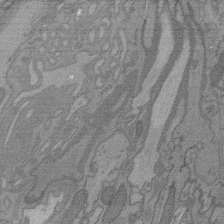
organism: C. elegans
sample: AFD neurons C. elegans